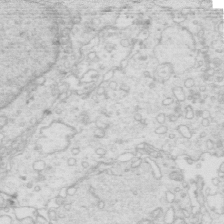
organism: Mouse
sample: Multiciliated cells